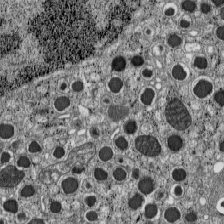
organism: C57BL Mouse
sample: Pancreatic islet